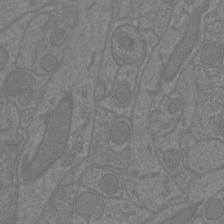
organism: Mouse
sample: Cortical neurons